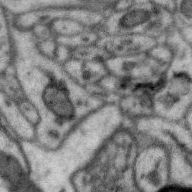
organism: Zebra finch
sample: Brain